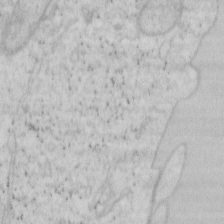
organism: Human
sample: HeLa cells